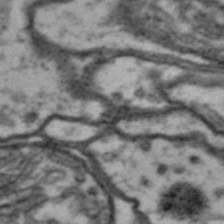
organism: Drosophila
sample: Brain